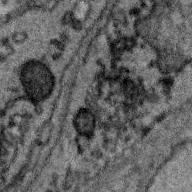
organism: Zebra finch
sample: Brain